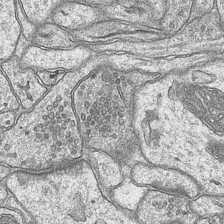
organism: Mouse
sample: CA1 Hippocampus